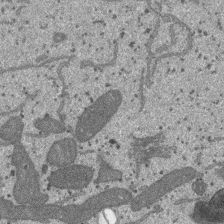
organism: Human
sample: Lung epithelial cells infected with SARS-CoV-2